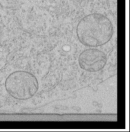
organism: Human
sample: Mitochondria in HCT116 cells